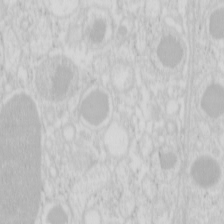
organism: Mouse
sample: Pancreas